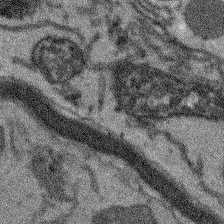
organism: Arabidopsis thaliana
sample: Root tip